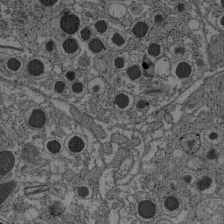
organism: C57BL Mouse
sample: Pancreatic islet